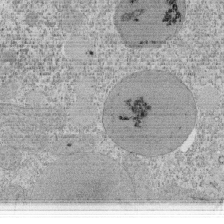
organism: Tetrahymena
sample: Cilia in tetrahymena